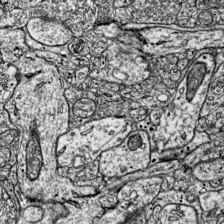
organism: Mouse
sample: Visual Cortex